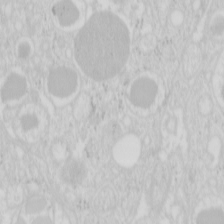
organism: Mouse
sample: Pancreas